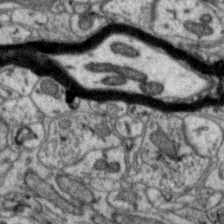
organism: Zebra finch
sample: Brain